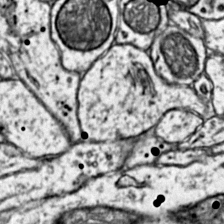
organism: Mouse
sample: Primary visual cortex